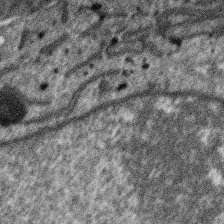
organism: Human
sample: Lung epithelial cells infected with SARS-CoV-2